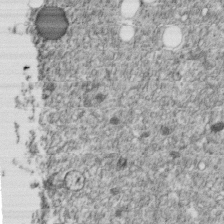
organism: C. elegans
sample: C. elegans embryo early stage